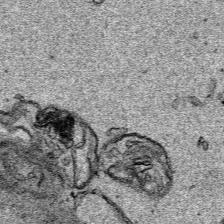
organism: Human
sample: Mitochondria in HCT116 cells